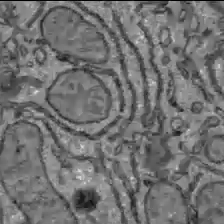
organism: C57BL Mouse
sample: Liver